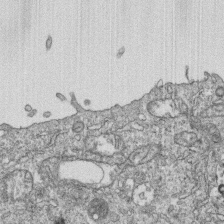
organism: Human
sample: HeLa cell HIV synapse